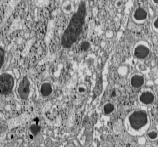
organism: C57BL Mouse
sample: Pancreatic islet